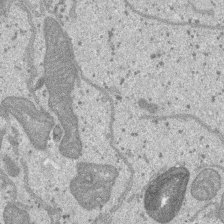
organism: Human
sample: Lung epithelial cells infected with SARS-CoV-2